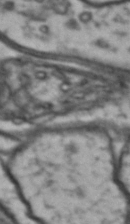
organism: Drosophila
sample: Brain